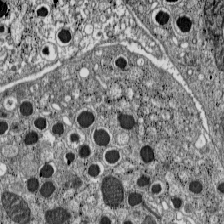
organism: C57BL Mouse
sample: Pancreatic islet